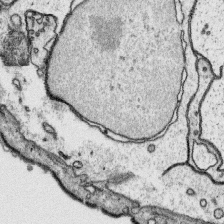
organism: Platynereis dumerilii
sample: Parapodia